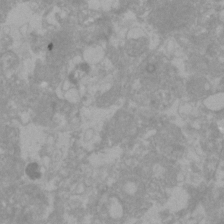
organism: Zebrafish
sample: Zebrafish embryo